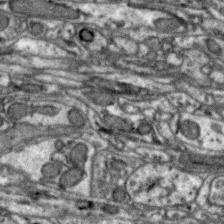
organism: Zebra finch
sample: Brain